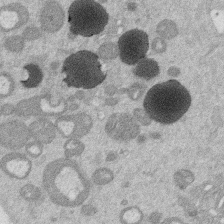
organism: Mouse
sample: Dividing mouse embryo 1 cell stage